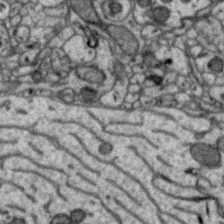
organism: Zebra finch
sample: Brain